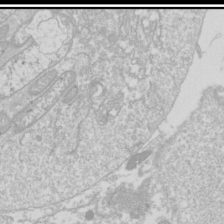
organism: Drosophila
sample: Cell division; meiosis; drosophila spermatocytes